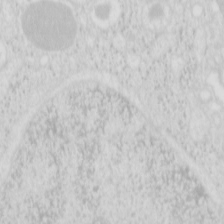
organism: Mouse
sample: Pancreas